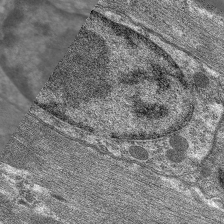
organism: C. elegans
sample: Pharynx